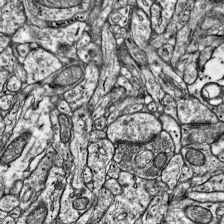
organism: Mouse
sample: Visual Cortex